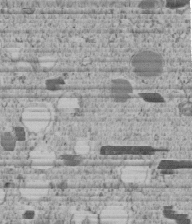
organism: C. elegans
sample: C. elegans embryo early stage